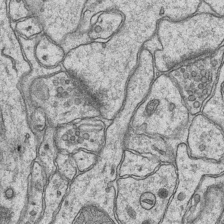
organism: Mouse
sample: CA1 Hippocampus